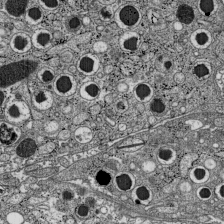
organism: C57BL Mouse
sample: Pancreatic islet